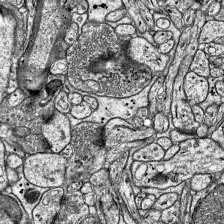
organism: Mouse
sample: Visual Cortex